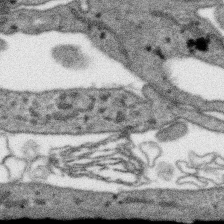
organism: Human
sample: Lung epithelial cells infected with SARS-CoV-2